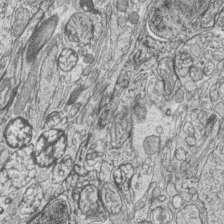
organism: Zebrafish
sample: synaptic ribbons in rod cells and cone cells